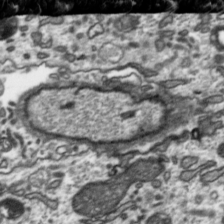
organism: Toxoplasma gondii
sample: Parasites in a vacuole inside a host cell